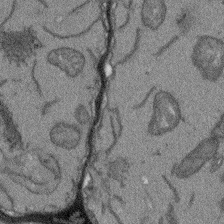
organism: Arabidopsis thaliana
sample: Root tip